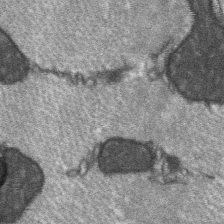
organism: C57BL Mouse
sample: Soleus